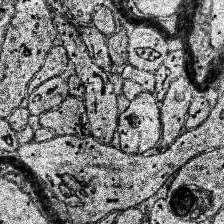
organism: Human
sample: Temporal Lobe